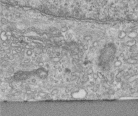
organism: Human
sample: Centriole in RPE cells